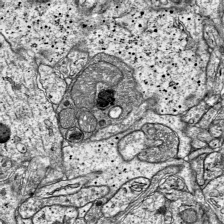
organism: Mouse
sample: Visual Cortex